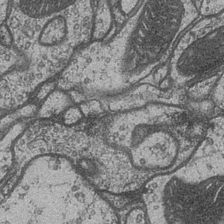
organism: Drosophila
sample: Optic medulla